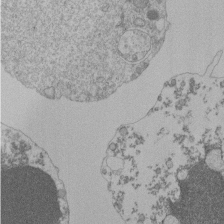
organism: Mouse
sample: Activated Pmel transgenic CD8+ T Cells